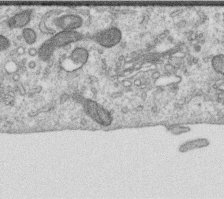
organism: Human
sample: Centriole in RPE cells